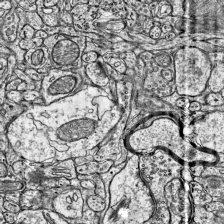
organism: Mouse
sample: Visual Cortex